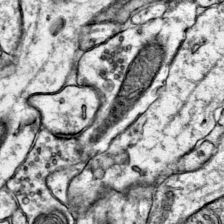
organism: Mouse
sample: Primary visual cortex